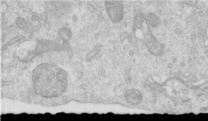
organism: Human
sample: Centriole in RPE cells